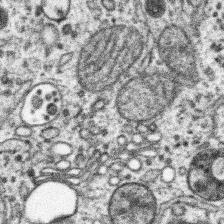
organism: Human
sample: HeLa cells